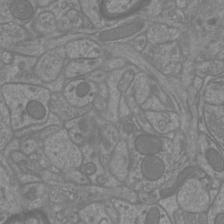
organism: Mouse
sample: Cortical neurons